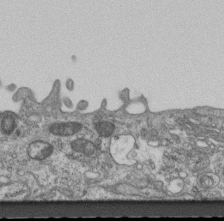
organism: Mouse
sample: Centriole in ependymal cells